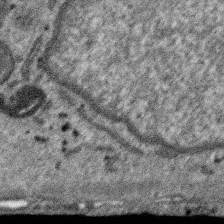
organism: Human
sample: Lung epithelial cells infected with SARS-CoV-2